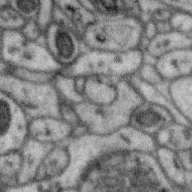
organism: Zebra finch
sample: Brain